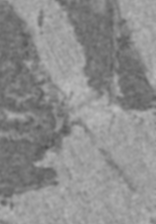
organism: C57BL Mouse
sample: Heart